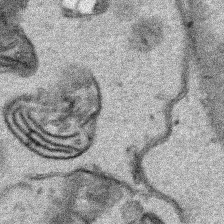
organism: Human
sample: Mitochondria in HCT116 cells